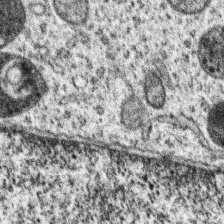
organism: Human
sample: HeLa cells